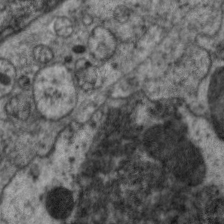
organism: C. elegans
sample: Pharynx